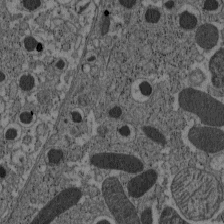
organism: C57BL Mouse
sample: Pancreatic islet